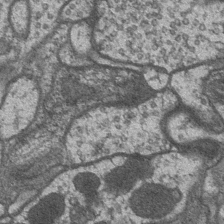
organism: Drosophila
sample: Optic medulla